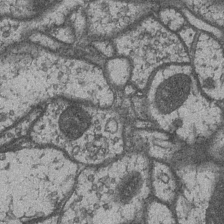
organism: Drosophila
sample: Optic medulla